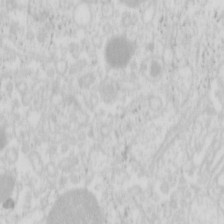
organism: Mouse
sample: Pancreas